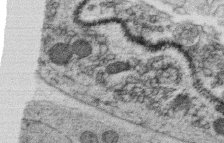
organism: C. elegans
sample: C. elegans oocyte; sperm cells